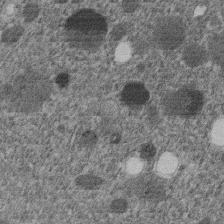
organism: C. elegans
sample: C. elegans embryo early stage